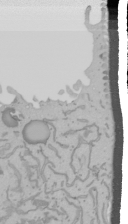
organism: Mouse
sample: Cancer cell death in ED-1 cells